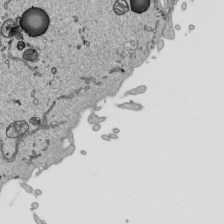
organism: Human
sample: Mitochondria in HCT116 cells